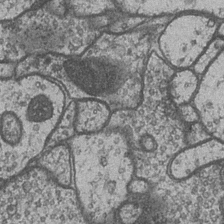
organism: Drosophila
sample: Optic medulla